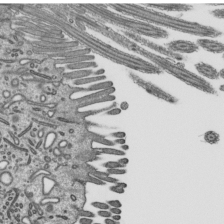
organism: Mouse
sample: Mouse epididymis efferent ductule cilia